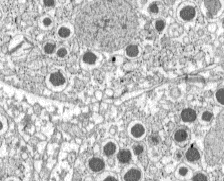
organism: C57BL Mouse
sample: Pancreatic islet